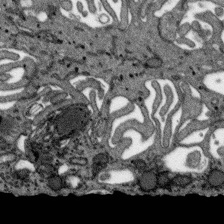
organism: Human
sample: Lung epithelial cells, uninfected (mock) control